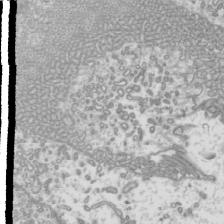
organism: Mouse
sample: Cilia; mouse epididymis